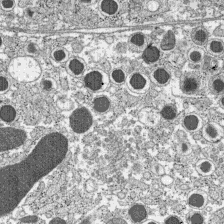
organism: C57BL Mouse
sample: Pancreatic islet